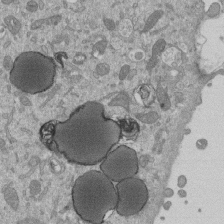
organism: Mouse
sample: ED-1 cell nuclei; centrioles